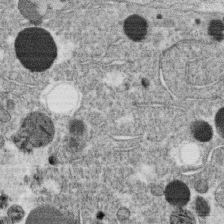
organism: C. elegans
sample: C. elegans oocyte; sperm cells